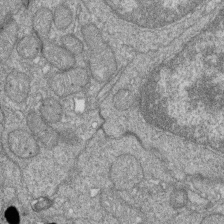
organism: Zebrafish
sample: Cilia; retinal pigment epithelium